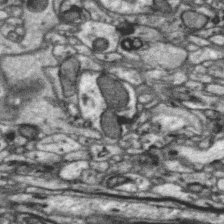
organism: Zebra finch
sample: Brain